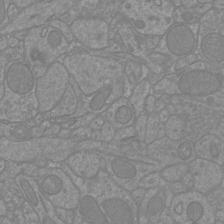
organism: Mouse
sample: Cortical neurons